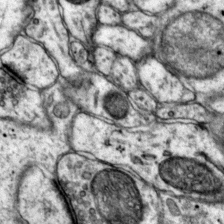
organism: Mouse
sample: Primary visual cortex